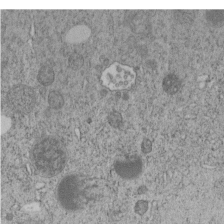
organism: C. elegans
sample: C. elegans embryo early stage